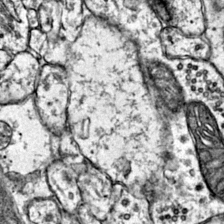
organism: Mouse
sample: Primary visual cortex